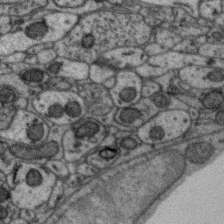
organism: Zebra finch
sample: Brain